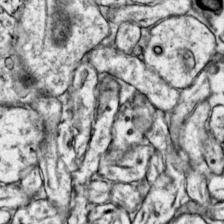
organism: Mouse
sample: Primary visual cortex